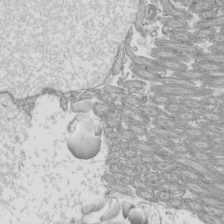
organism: Mouse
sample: Cilia; mouse epididymis